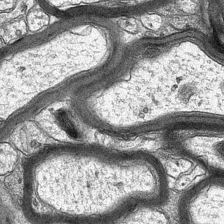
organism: Mouse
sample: CA1 Hippocampus